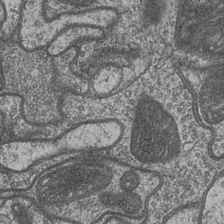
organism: Drosophila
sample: Optic medulla